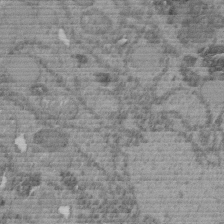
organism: C. elegans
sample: C. elegans embryo early stage